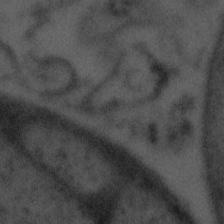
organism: Tuwongella immobilis